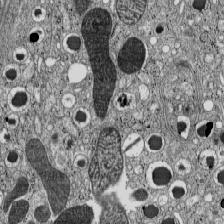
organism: C57BL Mouse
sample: Pancreatic islet